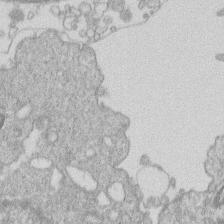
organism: Human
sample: Macrophage cells